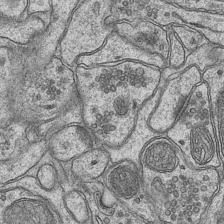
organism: Mouse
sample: CA1 Hippocampus